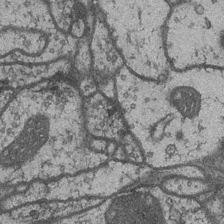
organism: Drosophila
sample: Optic medulla